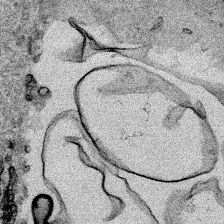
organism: Human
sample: Mitochondria in HCT116 cells